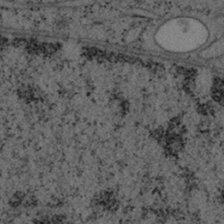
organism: Human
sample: HeLa cells